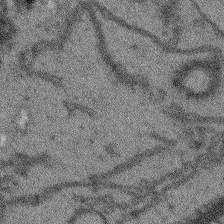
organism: Arabidopsis thaliana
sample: Root tip